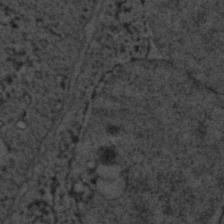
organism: C. elegans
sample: C. elegans embryo